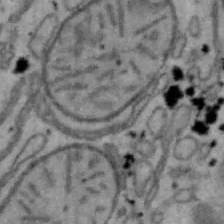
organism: Mouse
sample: Liver